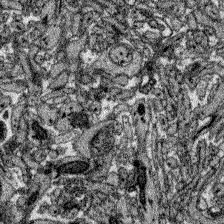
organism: Zebrafish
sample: Larval olfactory bulb